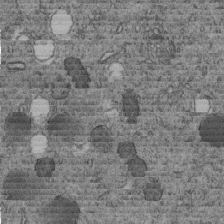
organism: C. elegans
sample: C. elegans embryo early stage